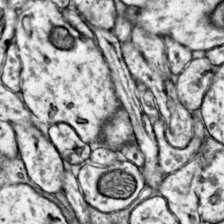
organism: Mouse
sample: Primary visual cortex